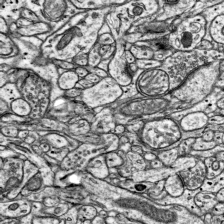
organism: Mouse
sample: Visual Cortex